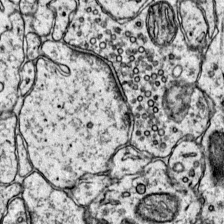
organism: Mouse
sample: Primary visual cortex